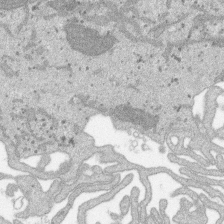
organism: Human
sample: Lung epithelial cells infected with SARS-CoV-2